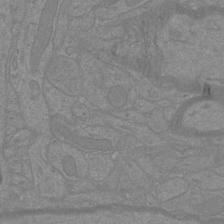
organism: Mouse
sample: Cortical neurons